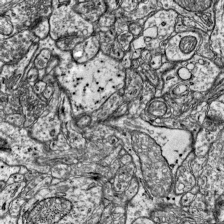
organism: Mouse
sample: Visual Cortex